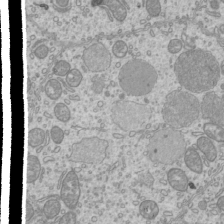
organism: Mouse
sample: Cilia; mouse epididymis